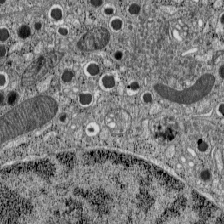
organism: C57BL Mouse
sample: Pancreatic islet